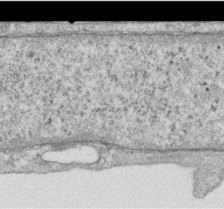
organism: Human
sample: Centriole in RPE cells